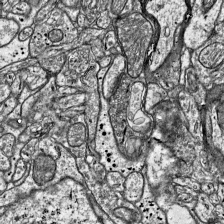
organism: Mouse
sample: Visual Cortex